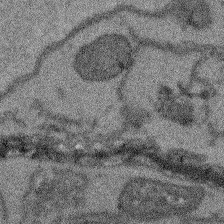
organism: Arabidopsis thaliana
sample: Root tip